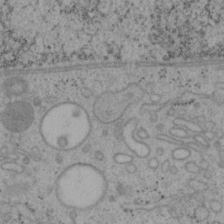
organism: Human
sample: HeLa cells